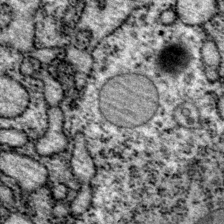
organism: P. pacificus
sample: Pharynx